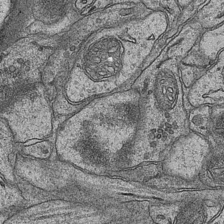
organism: Mouse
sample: CA1 Hippocampus